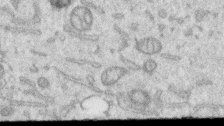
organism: Human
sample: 1205lu cells